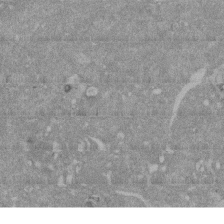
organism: Mouse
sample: ED-1 cell nuclei; centrioles